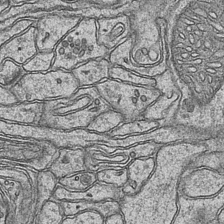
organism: Mouse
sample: CA1 Hippocampus